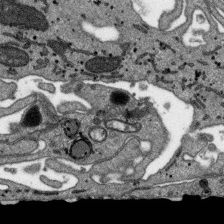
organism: Human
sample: Lung epithelial cells, uninfected (mock) control